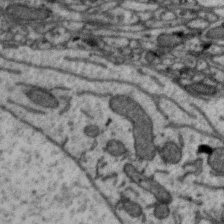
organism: Zebra finch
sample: Brain